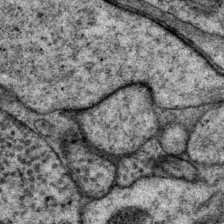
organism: P. pacificus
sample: Pharynx